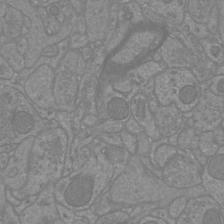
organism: Mouse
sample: Cortical neurons